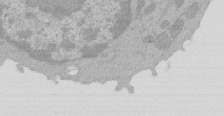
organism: Mouse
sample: Activated Pmel transgenic CD8+ T Cells